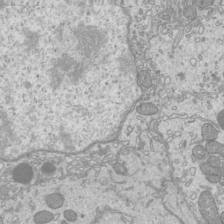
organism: Mouse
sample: Cilia; mouse epididymis